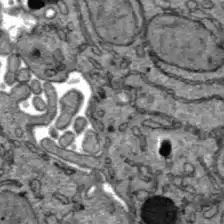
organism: C57BL Mouse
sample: Liver